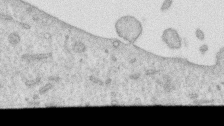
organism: Human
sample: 1205lu cells